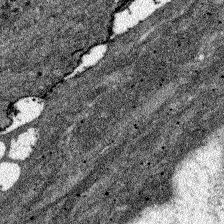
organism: Zebrafish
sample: Larval olfactory bulb